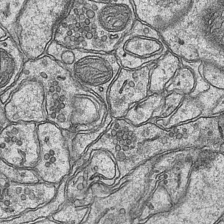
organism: Mouse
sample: CA1 Hippocampus